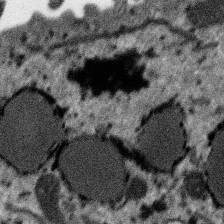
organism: Human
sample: Lung epithelial cells infected with SARS-CoV-2